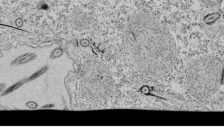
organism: Tetrahymena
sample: Cilia in tetrahymena